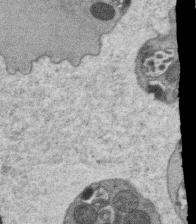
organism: C. elegans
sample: C. elegans oocyte; sperm cells